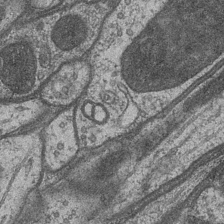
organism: Drosophila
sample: Optic medulla